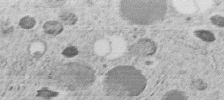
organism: C. elegans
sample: C. elegans embryo early stage